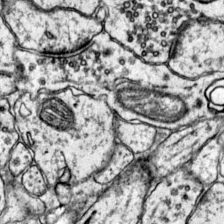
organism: Mouse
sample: Primary visual cortex